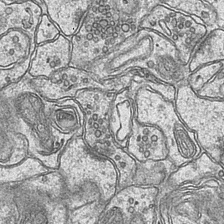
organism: Mouse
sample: CA1 Hippocampus